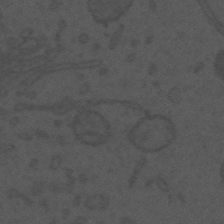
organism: Mouse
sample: Suprachiasmatic nucleus